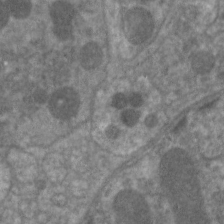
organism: C. elegans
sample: Pharynx